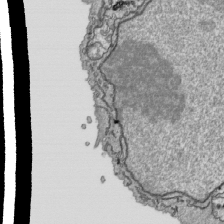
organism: Human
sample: Mitochondria in HCT116 cells